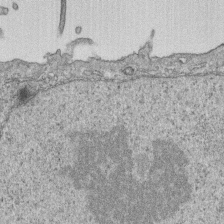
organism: Human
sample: HeLa cell HIV synapse